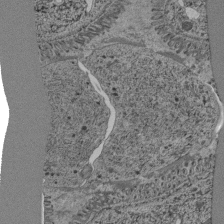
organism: C. elegans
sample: C. elegans pharynx